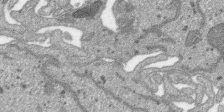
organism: Human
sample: Lung epithelial cells infected with SARS-CoV-2